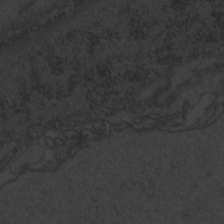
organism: Zebrafish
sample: Macrophage infected with Toxoplasma gondii